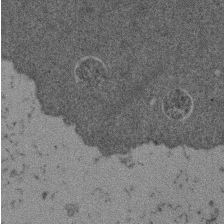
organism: Mouse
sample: Dividing mouse embryo 1 cell stage